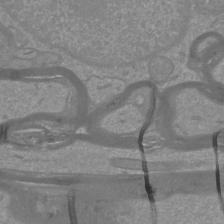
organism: Mouse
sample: Cortical neurons